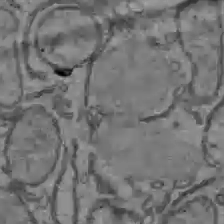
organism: C57BL Mouse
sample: Liver